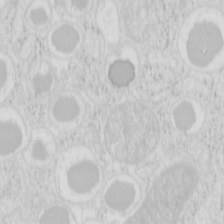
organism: Mouse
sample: Pancreas